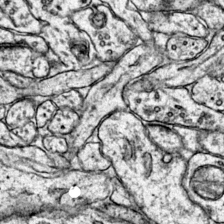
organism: Mouse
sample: Primary visual cortex